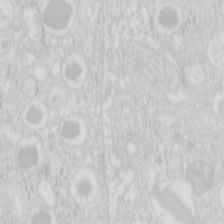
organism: Mouse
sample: Pancreas